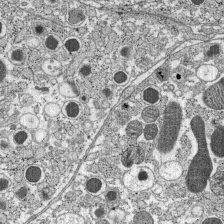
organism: C57BL Mouse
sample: Pancreatic islet